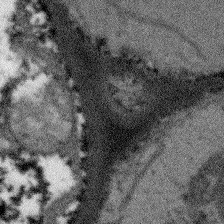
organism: Arabidopsis thaliana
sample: Root tip